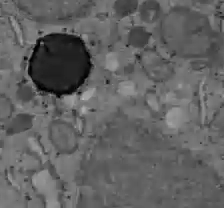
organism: C57BL Mouse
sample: Liver